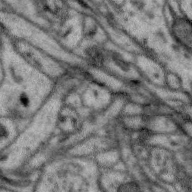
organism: Zebra finch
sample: Brain